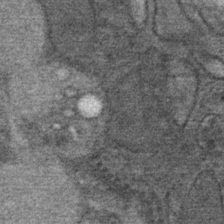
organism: Mouse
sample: Mouse Salivary gland